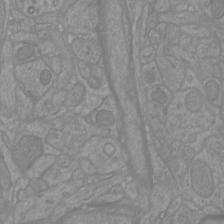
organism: Mouse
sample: Cortical neurons